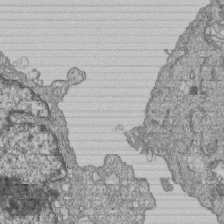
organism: Human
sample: MDA-MB-231 cells